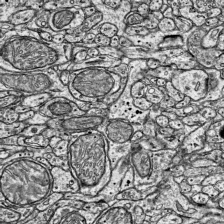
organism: Mouse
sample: Visual Cortex